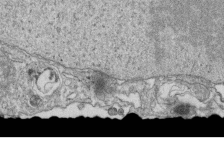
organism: Human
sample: HeLa cell HIV synapse